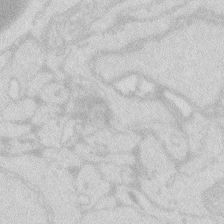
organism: Zebrafish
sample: Macrophage